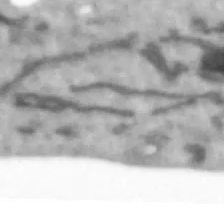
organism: Human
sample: SH-SY5Y cells